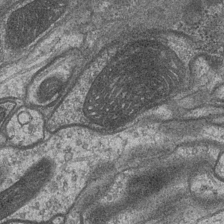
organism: Drosophila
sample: Optic medulla